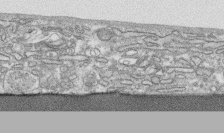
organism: Human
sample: CRL-1474